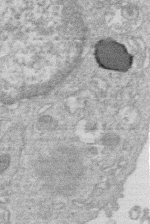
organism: Human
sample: Macrophage cells